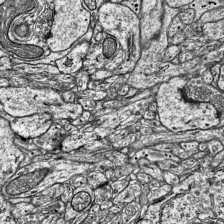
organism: Mouse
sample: Visual Cortex